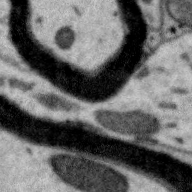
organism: Zebra finch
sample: Brain